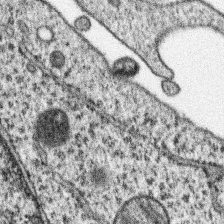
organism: Human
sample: HeLa cells